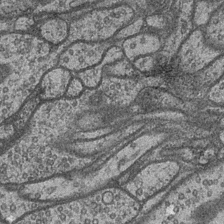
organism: Drosophila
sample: Optic medulla